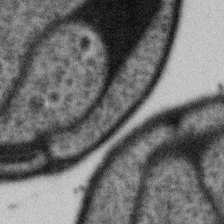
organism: Gemmata obscuriglobus